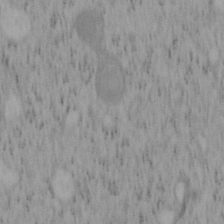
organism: Mouse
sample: OT-I killer T cells with ID8 ovarian cancer cells